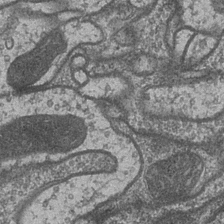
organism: Drosophila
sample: Optic medulla